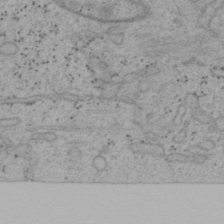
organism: Human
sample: HeLa cells